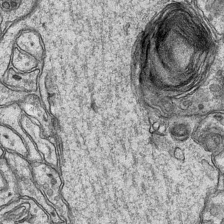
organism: Mouse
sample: CA1 Hippocampus